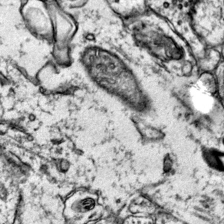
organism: Mouse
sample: Primary visual cortex